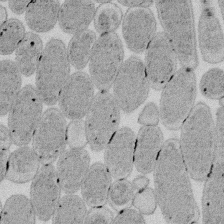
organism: E. coli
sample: Bacterial nucleoid